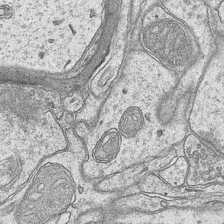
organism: Mouse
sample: CA1 Hippocampus